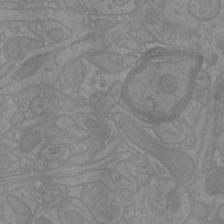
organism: Mouse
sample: Cortical neurons